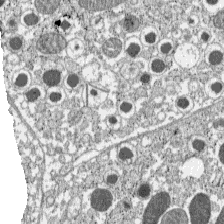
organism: C57BL Mouse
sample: Pancreatic islet